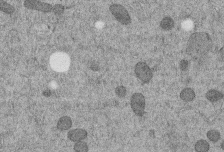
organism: C. elegans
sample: C. elegans embryo early stage